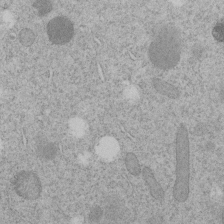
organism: C. elegans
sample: C. elegans embryo early stage